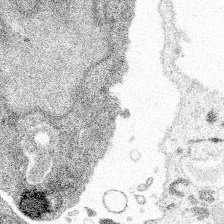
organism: Spongilla lacustris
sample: Multiple